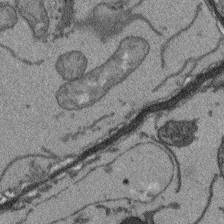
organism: Arabidopsis thaliana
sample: Root tip